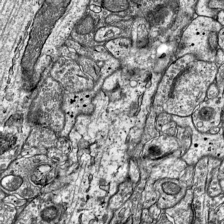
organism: Mouse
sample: Visual Cortex